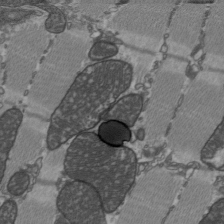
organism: C57BL Mouse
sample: Heart